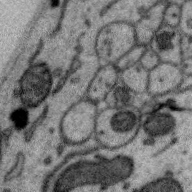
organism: Zebra finch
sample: Brain